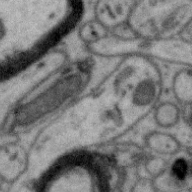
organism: Zebra finch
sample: Brain